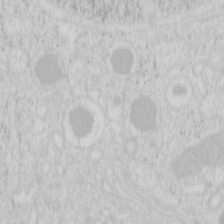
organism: Mouse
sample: Pancreas